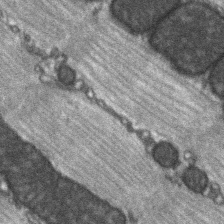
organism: C57BL Mouse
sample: Soleus